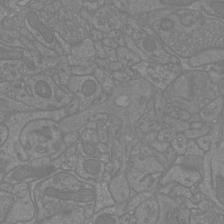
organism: Mouse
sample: Cortical neurons